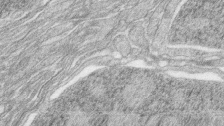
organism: Zebrafish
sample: synaptic ribbons in rod cells and cone cells